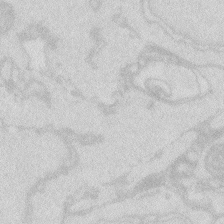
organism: Zebrafish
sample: Macrophage